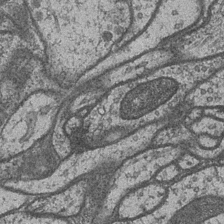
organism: Drosophila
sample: Optic medulla